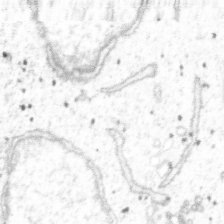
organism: Human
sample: HeLa cells